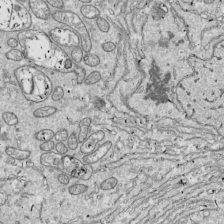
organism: Drosophila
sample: Cell division; meiosis; drosophila spermatocytes